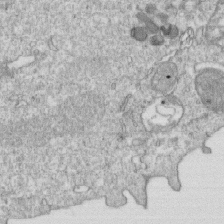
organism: Mouse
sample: Activated OT-1 CD8+ T cells